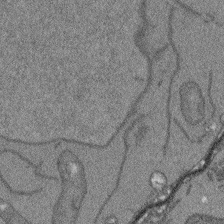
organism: Arabidopsis thaliana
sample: Root tip